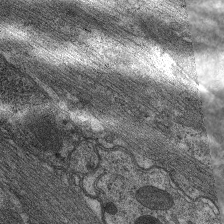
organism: C. elegans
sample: Pharynx